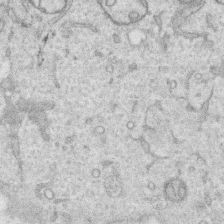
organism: Human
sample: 1205lu cells